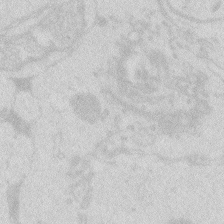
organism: Zebrafish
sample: Macrophage